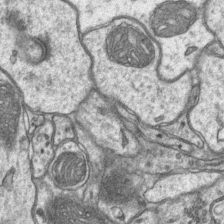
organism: Mouse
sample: CA1 Hippocampus